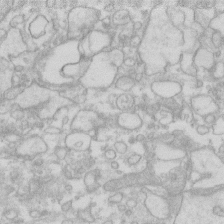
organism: Human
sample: Fibroblast cells